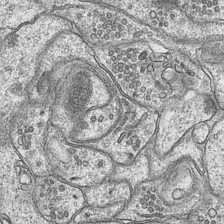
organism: Mouse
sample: CA1 Hippocampus